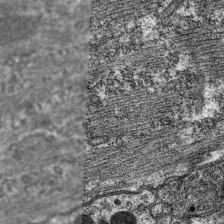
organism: C. elegans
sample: Pharynx